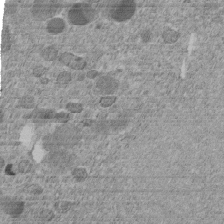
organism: C. elegans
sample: C. elegans embryo early stage